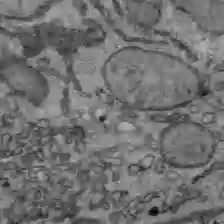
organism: C57BL Mouse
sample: Liver